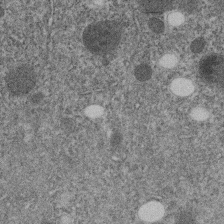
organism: C. elegans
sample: C. elegans embryo early stage